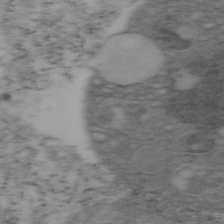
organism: Mouse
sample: OT-I killer T cells with ID8 ovarian cancer cells